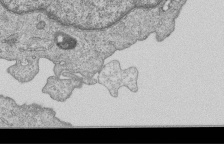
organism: Human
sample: MDA-MB-231 cells